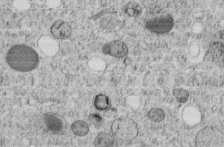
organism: C. elegans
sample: C. elegans embryo early stage